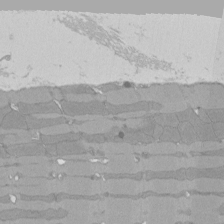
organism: Rat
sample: Left ventricle